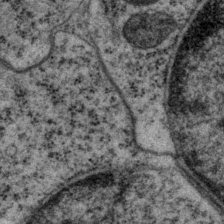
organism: P. pacificus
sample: Pharynx